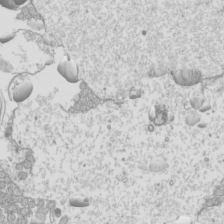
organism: Mouse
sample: Cilia; mouse epididymis